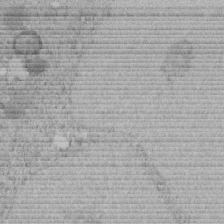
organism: C. elegans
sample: C. elegans embryo early stage